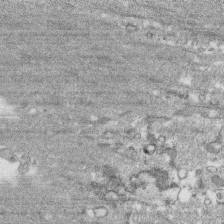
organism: Human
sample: CRL-1474